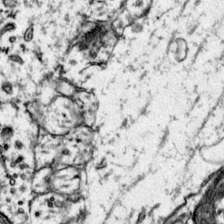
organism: Mouse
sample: Primary visual cortex